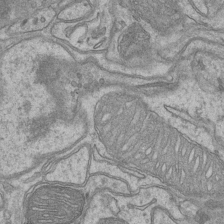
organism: Mouse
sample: CA1 Hippocampus